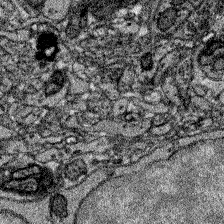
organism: Zebrafish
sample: Larval olfactory bulb